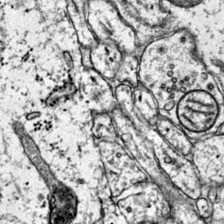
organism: Mouse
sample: Primary visual cortex